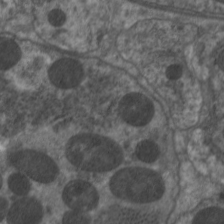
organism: C. elegans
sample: Pharynx